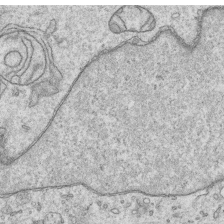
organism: Human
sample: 1205lu cells